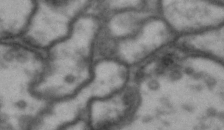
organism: Drosophila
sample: Brain